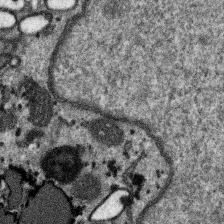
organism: Human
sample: Lung epithelial cells infected with SARS-CoV-2